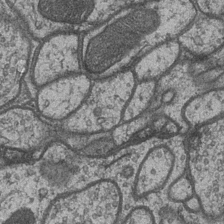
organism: Drosophila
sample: Optic medulla